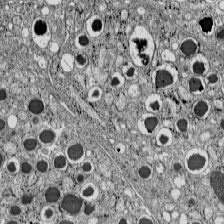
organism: C57BL Mouse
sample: Pancreatic islet